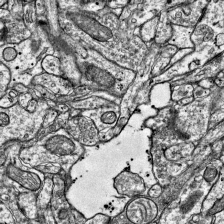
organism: Mouse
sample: Visual Cortex